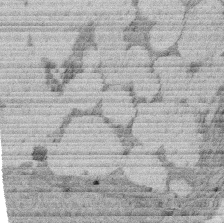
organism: Rat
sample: Salivary granule